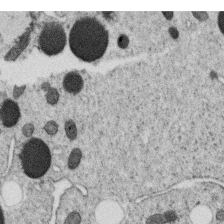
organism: C. elegans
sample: C. elegans oocyte; sperm cells